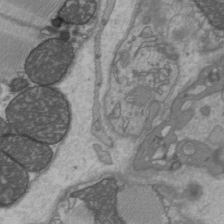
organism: C57BL Mouse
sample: Heart